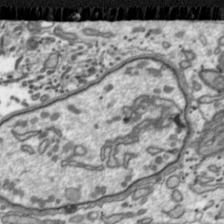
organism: Toxoplasma gondii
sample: Parasites in a vacuole inside a host cell